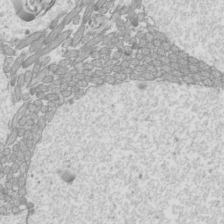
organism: Mouse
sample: Cilia; mouse epididymis